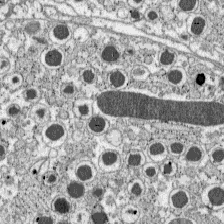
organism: C57BL Mouse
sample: Pancreatic islet